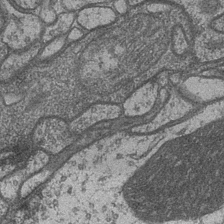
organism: Drosophila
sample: Optic medulla